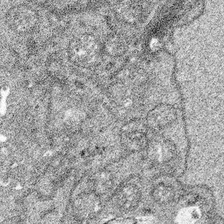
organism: Spongilla lacustris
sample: Multiple